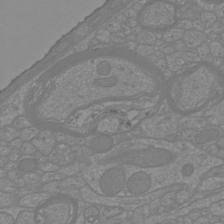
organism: Mouse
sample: Cortical neurons